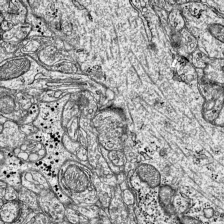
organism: Mouse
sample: Visual Cortex